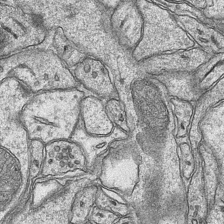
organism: Mouse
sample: CA1 Hippocampus